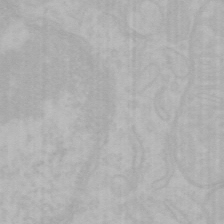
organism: Mouse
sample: Choroid plexus